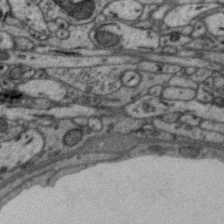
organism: Zebra finch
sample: Brain